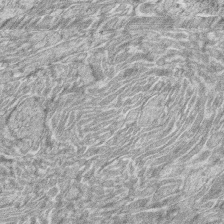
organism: Zebrafish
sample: synaptic ribbons in rod cells and cone cells